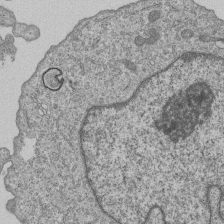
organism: Human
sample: MDA-MB-231 cells